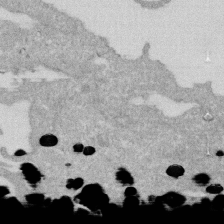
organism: Human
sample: HIV infected U937 cells